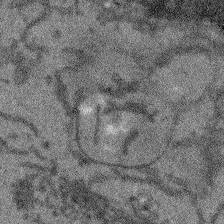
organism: Arabidopsis thaliana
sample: Root tip